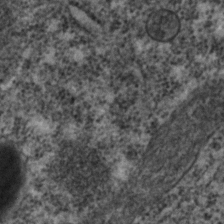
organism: C. elegans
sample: C. elegans embryo